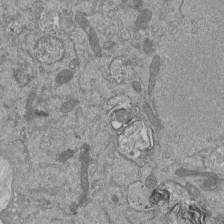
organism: Mouse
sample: ED-1 cell nuclei; centrioles